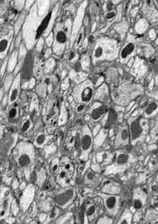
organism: Drosophila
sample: Optic lobe